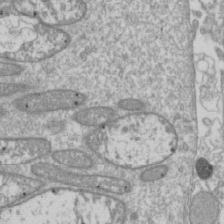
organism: Drosophila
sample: Cell division; meiosis; drosophila spermatocytes